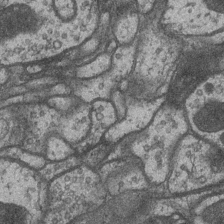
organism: Drosophila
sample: Optic medulla